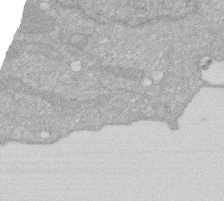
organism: Human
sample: HIV infected U937 cells